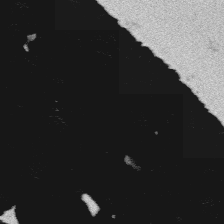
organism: Platynereis dumerilii